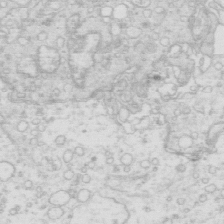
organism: Mouse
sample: Multiciliated cells